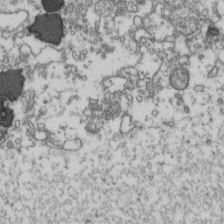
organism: Human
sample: Activated Jurkat CD4+ T cells